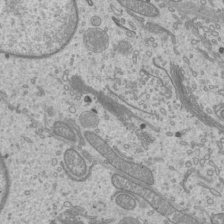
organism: Mouse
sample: Cilia; mouse epididymis